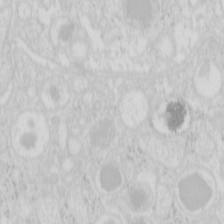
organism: Mouse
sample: Pancreas